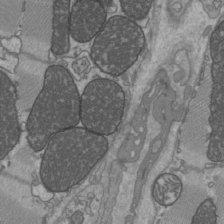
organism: C57BL Mouse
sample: Heart